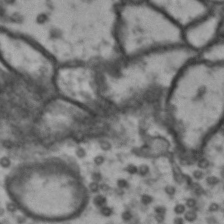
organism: Drosophila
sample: Brain